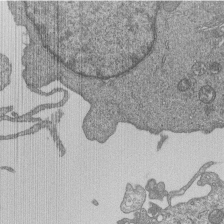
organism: Human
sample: MDA-MB-231 cells